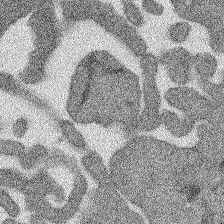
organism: Human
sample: HeLa cells